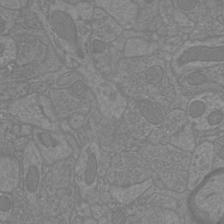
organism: Mouse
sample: Cortical neurons